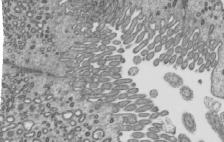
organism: Mouse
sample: Mouse epididymis efferent ductule cilia